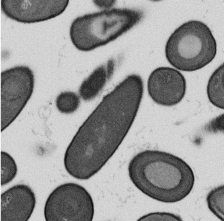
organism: B. subtilis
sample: Bacterial spore